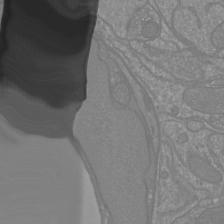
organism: Mouse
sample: Cortical neurons